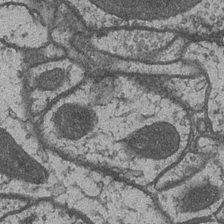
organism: Drosophila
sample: Optic medulla